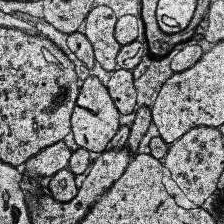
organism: Human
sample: Temporal Lobe